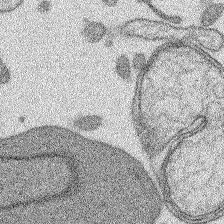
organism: Human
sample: HeLa cells